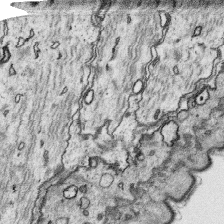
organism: Platynereis dumerilii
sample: Parapodia